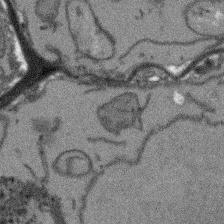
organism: Arabidopsis thaliana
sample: Root tip